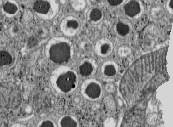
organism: C57BL Mouse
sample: Pancreatic islet